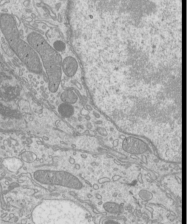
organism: Mouse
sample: Cilia; mouse epididymis